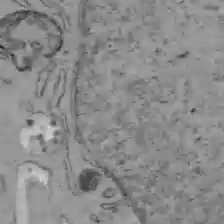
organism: C57BL Mouse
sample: Liver